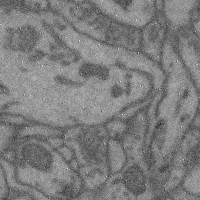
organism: Mouse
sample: Cerebral cortex